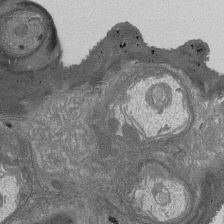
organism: Drosophila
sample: Antenna